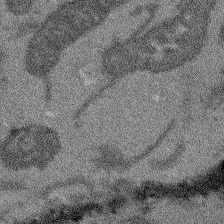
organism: Arabidopsis thaliana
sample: Root tip